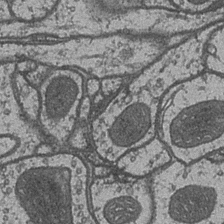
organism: Drosophila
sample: Optic medulla